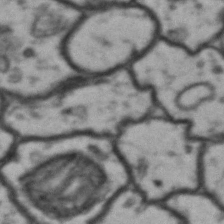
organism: Drosophila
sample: Brain